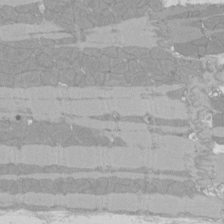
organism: Rat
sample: Left ventricle